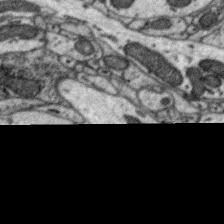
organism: Zebra finch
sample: Brain